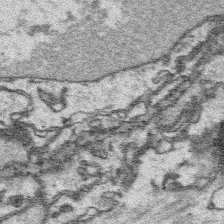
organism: Platynereis dumerilii